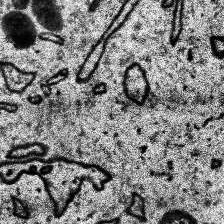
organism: Human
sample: Temporal Lobe